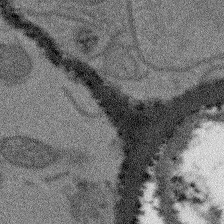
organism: Arabidopsis thaliana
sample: Root tip